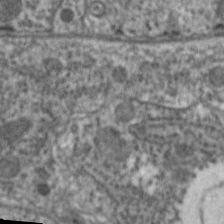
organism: C. elegans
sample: Pharynx